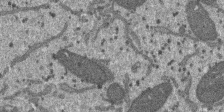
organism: Human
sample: Lung epithelial cells infected with SARS-CoV-2